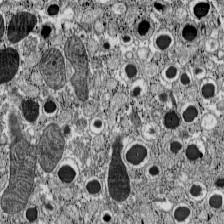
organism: C57BL Mouse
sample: Pancreatic islet